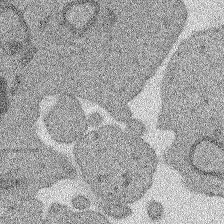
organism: Human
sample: HeLa cells